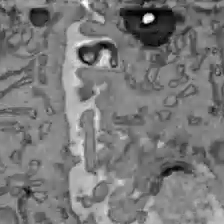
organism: C57BL Mouse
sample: Liver